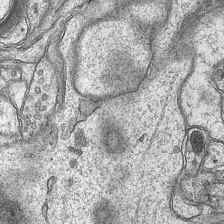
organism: Mouse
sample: CA1 Hippocampus